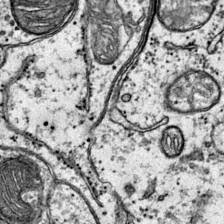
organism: Mouse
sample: Primary visual cortex